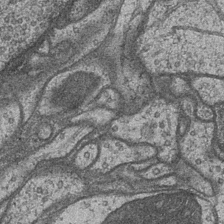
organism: Drosophila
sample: Optic medulla